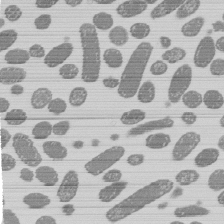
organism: E. coli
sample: Bacterial nucleoid